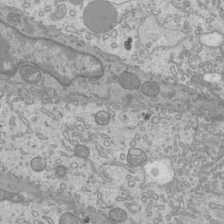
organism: Mouse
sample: Cilia; mouse epididymis